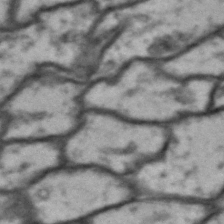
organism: Drosophila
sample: Brain